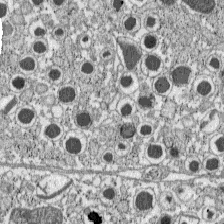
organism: C57BL Mouse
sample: Pancreatic islet